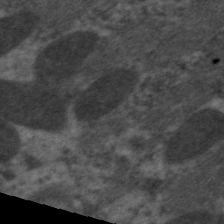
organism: C. elegans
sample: Pharynx